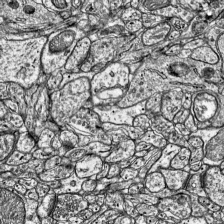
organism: Mouse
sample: Visual Cortex